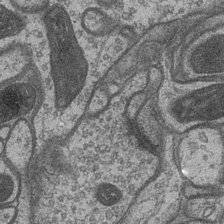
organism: Drosophila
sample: Optic medulla